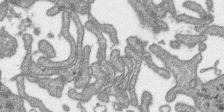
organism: Human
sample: Lung epithelial cells infected with SARS-CoV-2